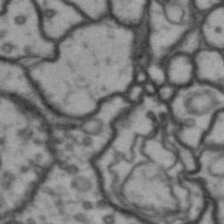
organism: Drosophila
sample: Brain